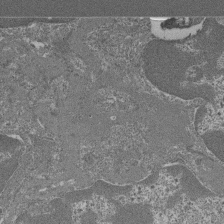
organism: Mouse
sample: Glomerulus